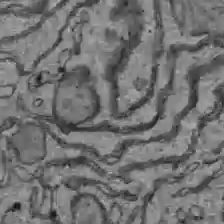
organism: C57BL Mouse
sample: Liver